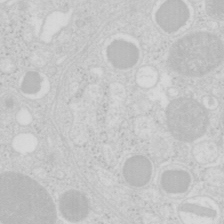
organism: Mouse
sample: Pancreas